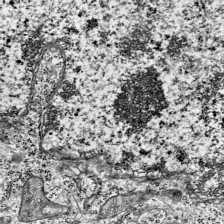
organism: Mouse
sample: Visual Cortex